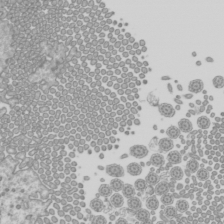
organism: Mouse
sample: Cilia; mouse epididymis